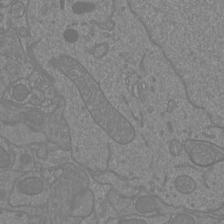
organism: Mouse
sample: Cortical neurons